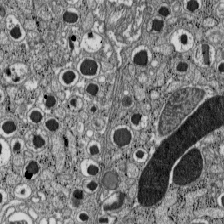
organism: C57BL Mouse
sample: Pancreatic islet